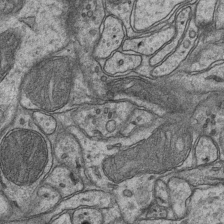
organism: Mouse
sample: CA1 Hippocampus